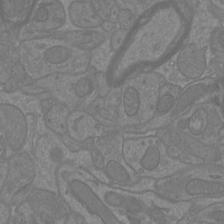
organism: Mouse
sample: Cortical neurons